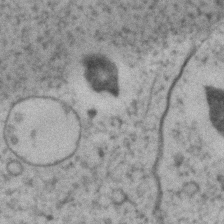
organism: Zebrafish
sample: Zebrafish embryo